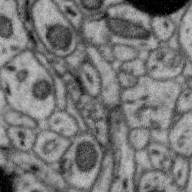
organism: Zebra finch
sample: Brain